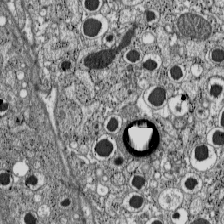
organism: C57BL Mouse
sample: Pancreatic islet